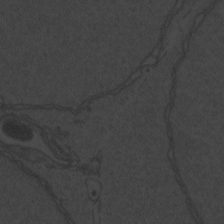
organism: Zebrafish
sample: Macrophage infected with Toxoplasma gondii